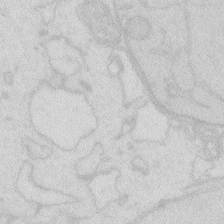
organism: Zebrafish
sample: Macrophage